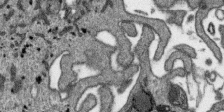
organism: Human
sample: Lung epithelial cells, uninfected (mock) control